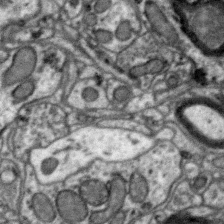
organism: Zebra finch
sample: Brain